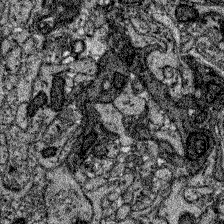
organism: Zebrafish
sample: Larval olfactory bulb